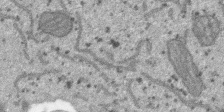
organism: Human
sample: Lung epithelial cells infected with SARS-CoV-2